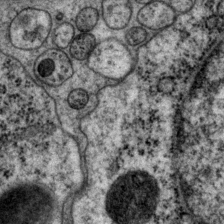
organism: P. pacificus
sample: Pharynx